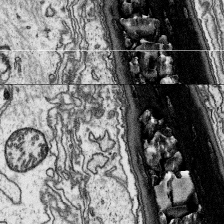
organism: Platynereis dumerilii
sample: Parapodia